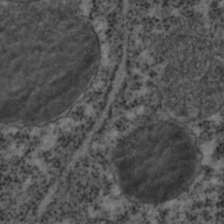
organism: C. elegans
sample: C. elegans embryo